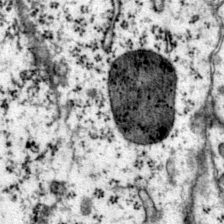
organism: Mouse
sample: Primary visual cortex